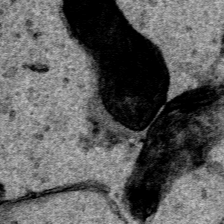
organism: Human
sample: Mitochondria in HCT116 cells